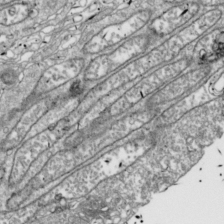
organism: Drosophila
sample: Cell division; meiosis; drosophila spermatocytes